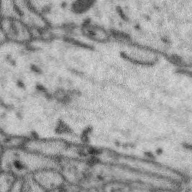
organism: Zebra finch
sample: Brain